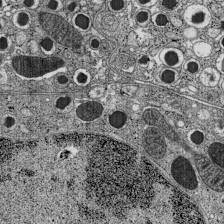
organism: C57BL Mouse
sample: Pancreatic islet